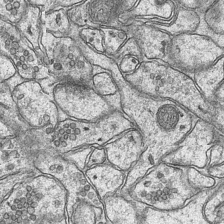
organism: Mouse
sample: CA1 Hippocampus